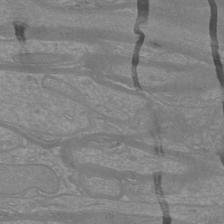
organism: Mouse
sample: Cortical neurons